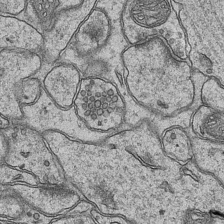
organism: Mouse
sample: CA1 Hippocampus